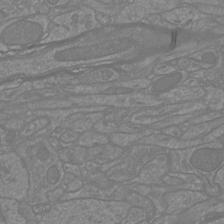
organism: Mouse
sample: Cortical neurons